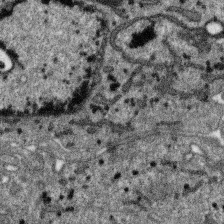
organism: Human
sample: Lung epithelial cells infected with SARS-CoV-2